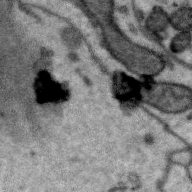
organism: Zebra finch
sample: Brain